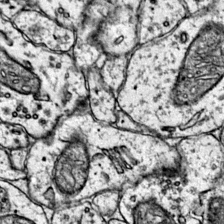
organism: Mouse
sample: Primary visual cortex